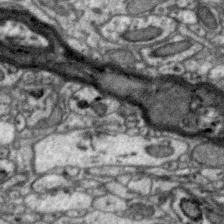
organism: Zebra finch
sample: Brain